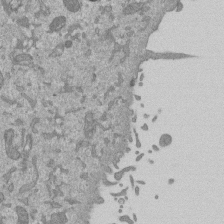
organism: Mouse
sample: ED-1 cell nuclei; centrioles